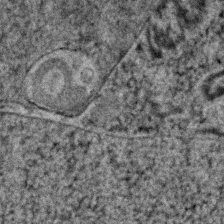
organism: Human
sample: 1205lu cells